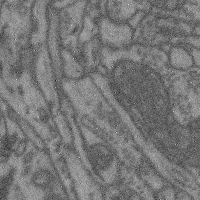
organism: Mouse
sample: Cerebral cortex